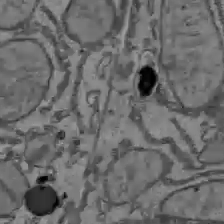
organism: C57BL Mouse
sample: Liver